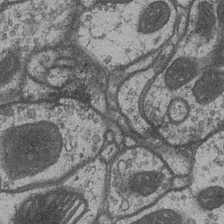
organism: Drosophila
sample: Optic medulla